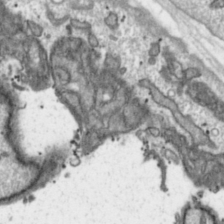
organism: Toxoplasma gondii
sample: Parasites in a vacuole inside a host cell